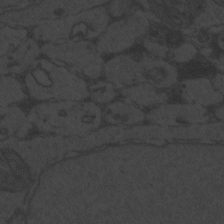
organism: Zebrafish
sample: Macrophage infected with Toxoplasma gondii